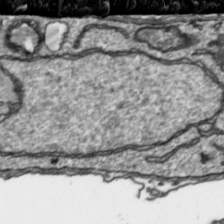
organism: Toxoplasma gondii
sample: Parasites in a vacuole inside a host cell